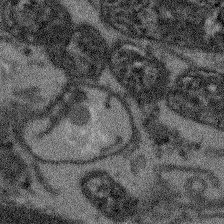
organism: Arabidopsis thaliana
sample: Root tip